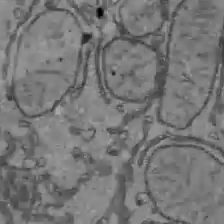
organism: C57BL Mouse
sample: Liver